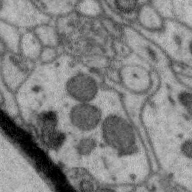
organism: Zebra finch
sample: Brain